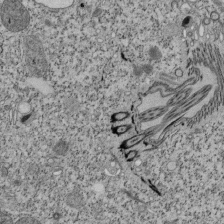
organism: Tetrahymena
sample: Cilia in tetrahymena